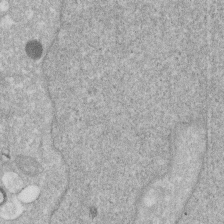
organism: Human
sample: HIV infected U937 cells